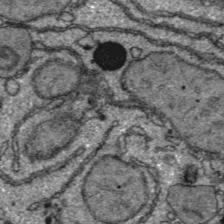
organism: C57BL Mouse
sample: Liver